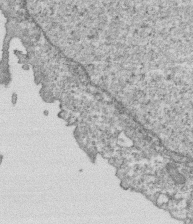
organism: Human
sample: HeLa cell HIV synapse